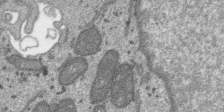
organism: Human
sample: Lung epithelial cells infected with SARS-CoV-2